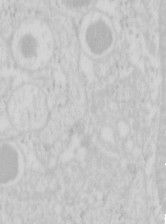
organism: Mouse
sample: Pancreas